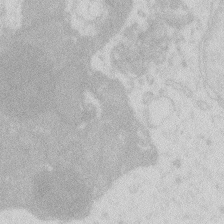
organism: Zebrafish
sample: Macrophage